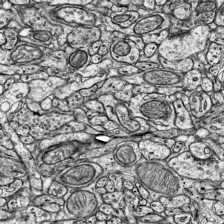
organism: Mouse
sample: Visual Cortex